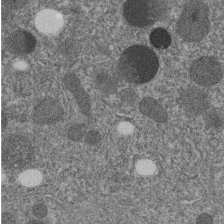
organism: C. elegans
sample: C. elegans embryo early stage